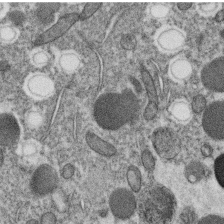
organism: C. elegans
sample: C. elegans oocyte; sperm cells